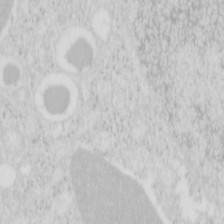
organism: Mouse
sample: Pancreas